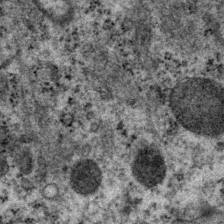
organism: P. pacificus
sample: Pharynx